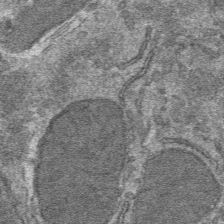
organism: Mouse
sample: Mouse hepatocytes